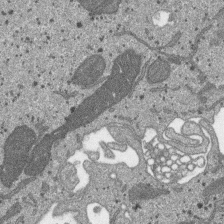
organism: Human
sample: Lung epithelial cells infected with SARS-CoV-2